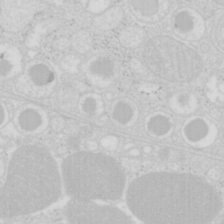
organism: Mouse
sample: Pancreas